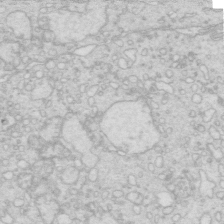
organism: Mouse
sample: Multiciliated cells